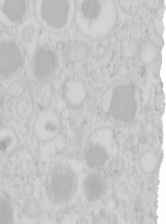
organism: Mouse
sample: Pancreas